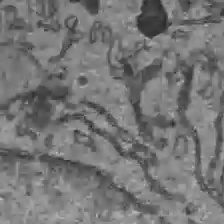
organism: C57BL Mouse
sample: Liver